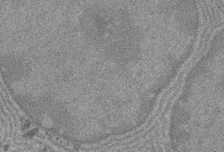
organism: Rat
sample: Salivary granule